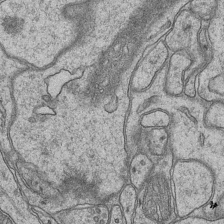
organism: Mouse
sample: CA1 Hippocampus